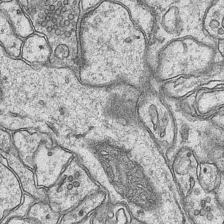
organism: Mouse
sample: CA1 Hippocampus